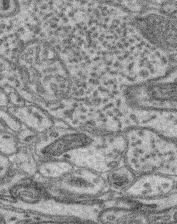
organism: Mouse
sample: Retina